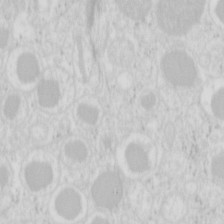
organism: Mouse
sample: Pancreas